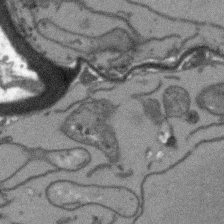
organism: Arabidopsis thaliana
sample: Root tip